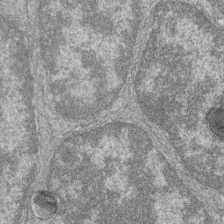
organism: Zebrafish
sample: Cilia; retinal pigment epithelium